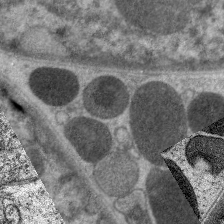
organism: C. elegans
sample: Pharynx